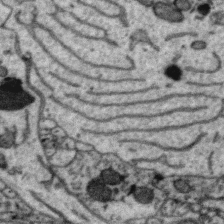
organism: Zebra finch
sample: Brain